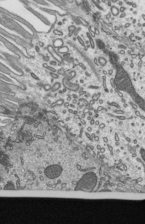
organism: Mouse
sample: Mouse epididymis efferent ductule cilia